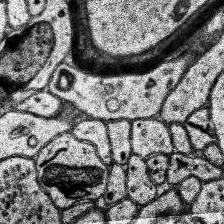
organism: Human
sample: Temporal Lobe